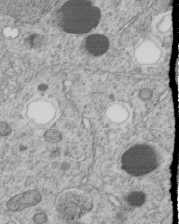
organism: C. elegans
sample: C. elegans embryo early stage